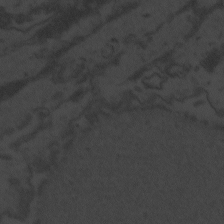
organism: Zebrafish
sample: Macrophage infected with Toxoplasma gondii